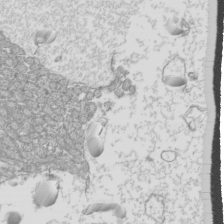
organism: Mouse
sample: Cilia; mouse epididymis